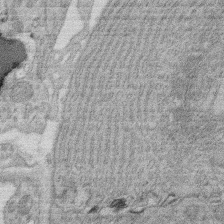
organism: Rat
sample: Salivary granule